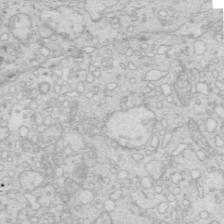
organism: Mouse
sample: Multiciliated cells